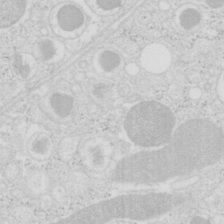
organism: Mouse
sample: Pancreas